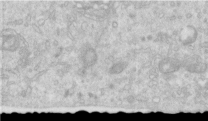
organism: Human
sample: Centriole in RPE cells